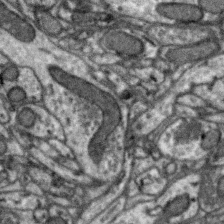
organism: Zebra finch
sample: Brain